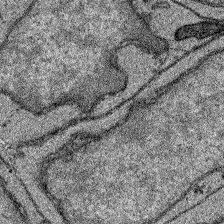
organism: Zebrafish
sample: Larval olfactory bulb